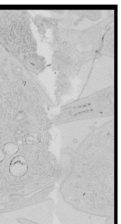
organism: Human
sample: Mitochondria in HCT116 cells